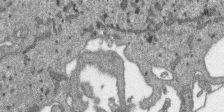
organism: Human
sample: Lung epithelial cells infected with SARS-CoV-2